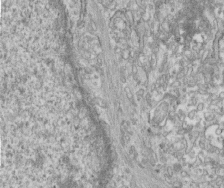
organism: Human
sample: Centriole in fibroblast cells